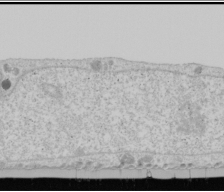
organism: Human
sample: Mitochondria in U2OS cells